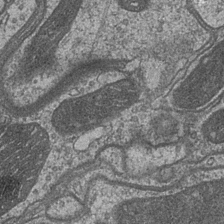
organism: Drosophila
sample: Optic medulla